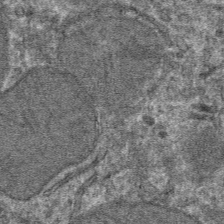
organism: Mouse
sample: Mouse hepatocytes